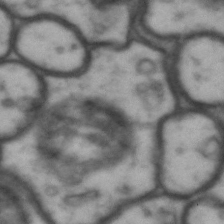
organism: Drosophila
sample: Brain